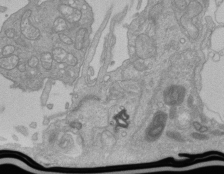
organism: Human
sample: Retinal organoid Rod and Cone cells